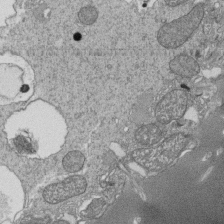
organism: Tetrahymena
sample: Cilia in tetrahymena